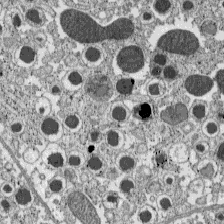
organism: C57BL Mouse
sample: Pancreatic islet